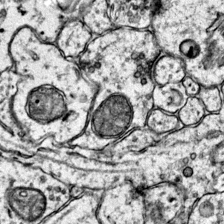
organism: Mouse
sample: Primary visual cortex